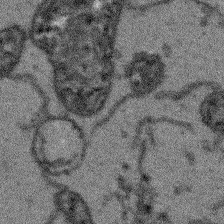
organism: Arabidopsis thaliana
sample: Root tip